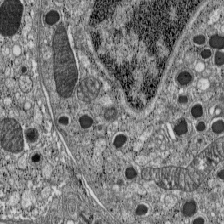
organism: C57BL Mouse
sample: Pancreatic islet